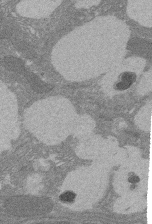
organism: Rat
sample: Salivary granule